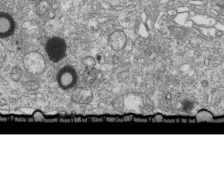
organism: Human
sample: HeLa cell HIV synapse